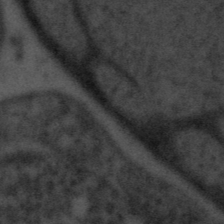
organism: Tuwongella immobilis